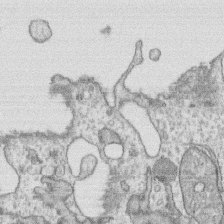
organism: Human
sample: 1205lu cells